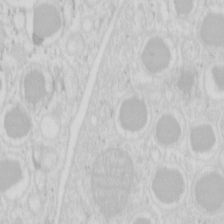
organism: Mouse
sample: Pancreas